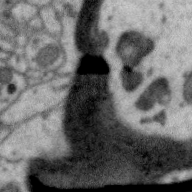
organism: Zebra finch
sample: Brain